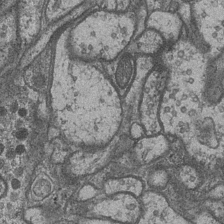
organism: Drosophila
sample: Optic medulla